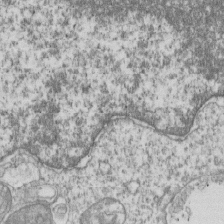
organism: Human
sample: MDA-MB-231 cells